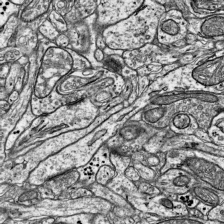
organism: Mouse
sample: Visual Cortex